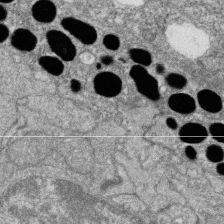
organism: Zebrafish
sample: Cilia; retinal pigment epithelium